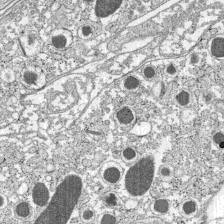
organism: C57BL Mouse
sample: Pancreatic islet